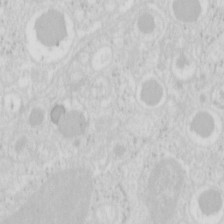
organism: Mouse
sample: Pancreas